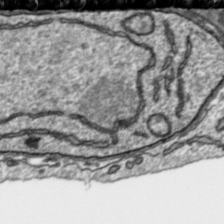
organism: Toxoplasma gondii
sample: Parasites in a vacuole inside a host cell